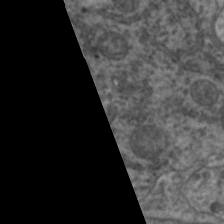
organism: C. elegans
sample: Pharynx